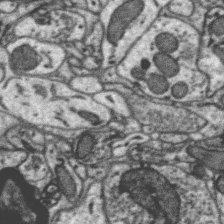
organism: Zebra finch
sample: Brain